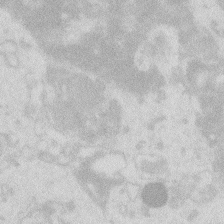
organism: Zebrafish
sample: Macrophage